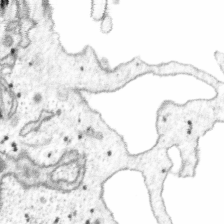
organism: Human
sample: HeLa cells